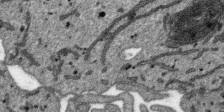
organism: Human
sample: Lung epithelial cells, uninfected (mock) control